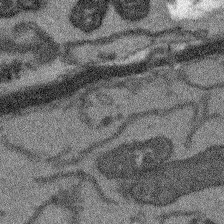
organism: Arabidopsis thaliana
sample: Root tip